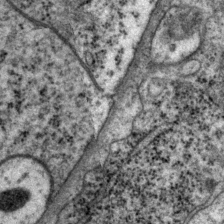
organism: P. pacificus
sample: Pharynx